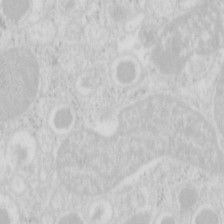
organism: Mouse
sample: Pancreas